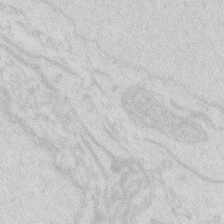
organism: Zebrafish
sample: Macrophage